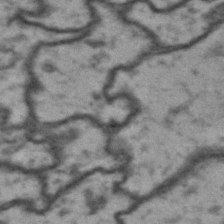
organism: Drosophila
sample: Brain